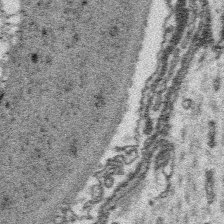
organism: Platynereis dumerilii